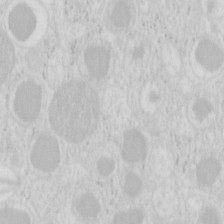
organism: Mouse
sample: Pancreas